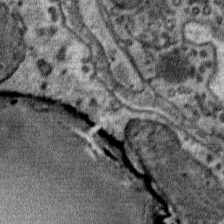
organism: Mouse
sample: Mouse Salivary gland